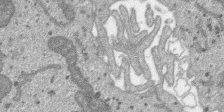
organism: Human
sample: Lung epithelial cells infected with SARS-CoV-2